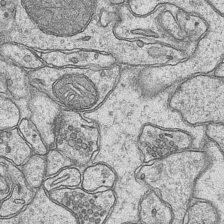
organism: Mouse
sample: CA1 Hippocampus